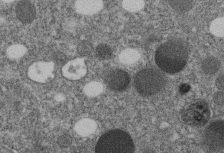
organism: C. elegans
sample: C. elegans embryo early stage